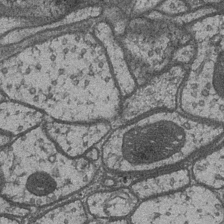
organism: Drosophila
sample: Optic medulla